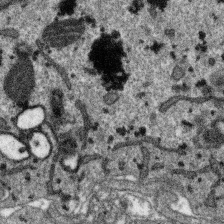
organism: Human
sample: Lung epithelial cells infected with SARS-CoV-2